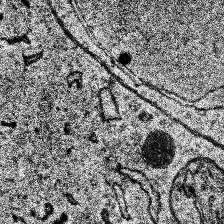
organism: Human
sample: Temporal Lobe